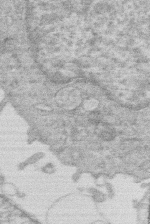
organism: Human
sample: Macrophage cells